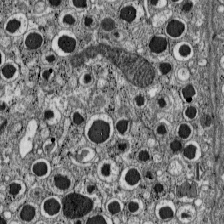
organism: C57BL Mouse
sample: Pancreatic islet